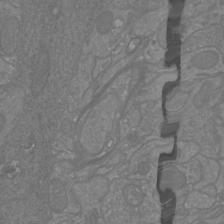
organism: Mouse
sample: Cortical neurons